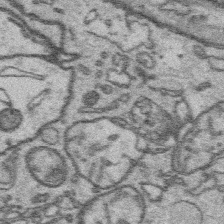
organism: Platynereis dumerilii